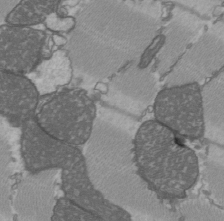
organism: C57BL Mouse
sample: Heart